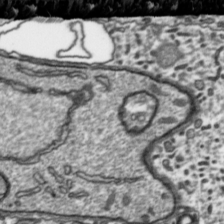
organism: Toxoplasma gondii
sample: Parasites in a vacuole inside a host cell